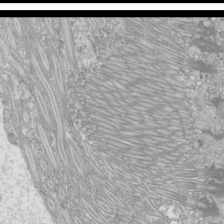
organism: Mouse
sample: Cilia; mouse epididymis